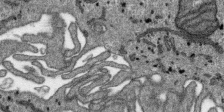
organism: Human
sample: Lung epithelial cells, uninfected (mock) control